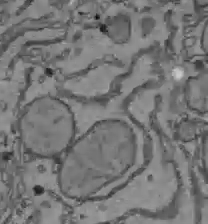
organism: C57BL Mouse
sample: Liver